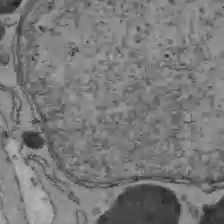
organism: C57BL Mouse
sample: Liver